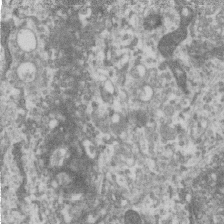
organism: Human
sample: Centriole in RPE cells